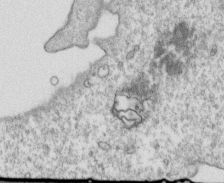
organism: Mouse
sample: Activated OT-1 CD8+ T cells